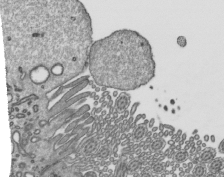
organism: Mouse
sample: Mouse epididymis efferent ductule cilia